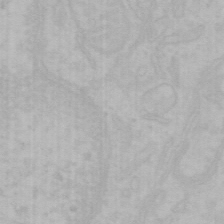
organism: Mouse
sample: Choroid plexus